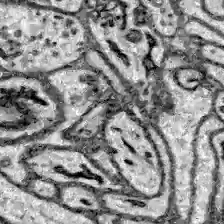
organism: Zebrafish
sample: Brain